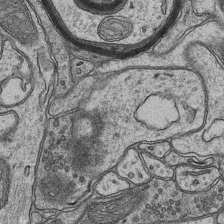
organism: Mouse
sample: CA1 Hippocampus